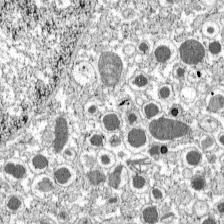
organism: C57BL Mouse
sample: Pancreatic islet